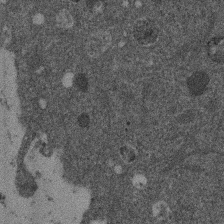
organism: Mouse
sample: Dividing mouse embryo 1 cell stage